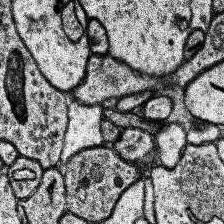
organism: Human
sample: Temporal Lobe